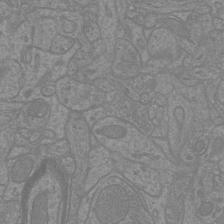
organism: Mouse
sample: Cortical neurons